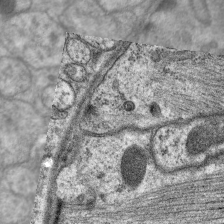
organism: C. elegans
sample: Pharynx